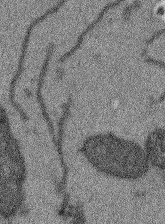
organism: Arabidopsis thaliana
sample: Root tip